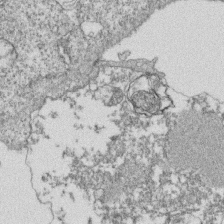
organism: Human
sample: HeLa cell HIV synapse